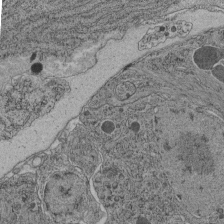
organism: C. elegans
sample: C. elegans pharynx